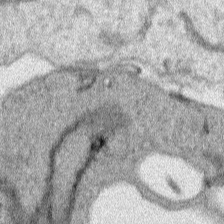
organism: Human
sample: Mitochondria in HCT116 cells